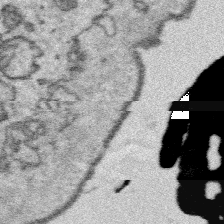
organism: Platynereis dumerilii